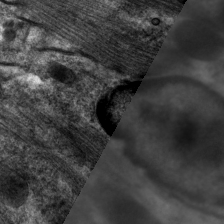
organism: C. elegans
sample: Pharynx